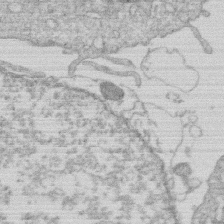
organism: Human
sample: Macrophage cells